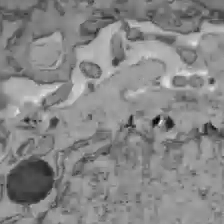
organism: C57BL Mouse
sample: Liver